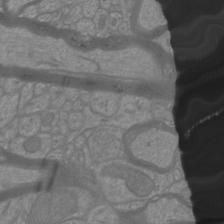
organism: Mouse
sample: Cortical neurons